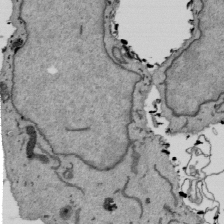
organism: Mouse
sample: ED-1 cell nuclei; centrioles